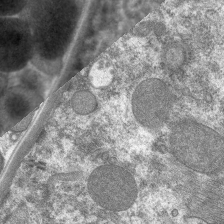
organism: C. elegans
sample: Pharynx